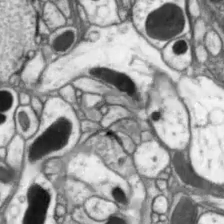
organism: Drosophila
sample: Optic lobe